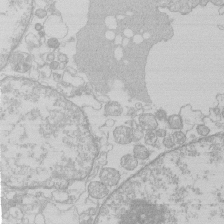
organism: Human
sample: Macrophage cells